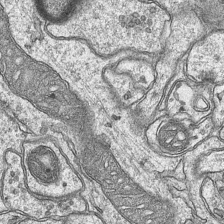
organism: Mouse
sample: CA1 Hippocampus